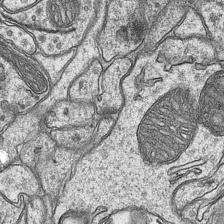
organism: Mouse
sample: CA1 Hippocampus